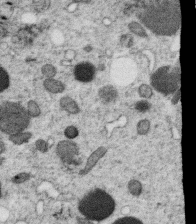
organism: C. elegans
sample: C. elegans oocyte; sperm cells